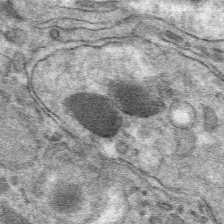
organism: Mouse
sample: Mouse hepatocytes